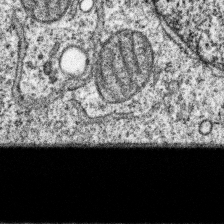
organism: Human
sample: HeLa cells